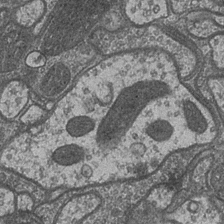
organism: Drosophila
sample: Optic medulla